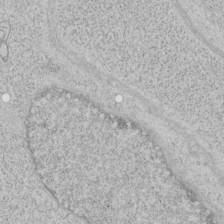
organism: Human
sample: Mitochondria in HCT116 cells